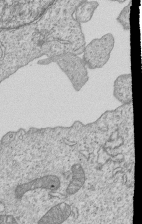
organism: Human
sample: MDA-MB-231 cells